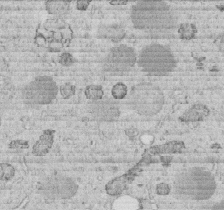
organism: C. elegans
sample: C. elegans embryo early stage